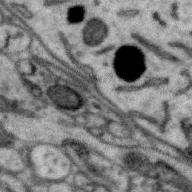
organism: Zebra finch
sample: Brain